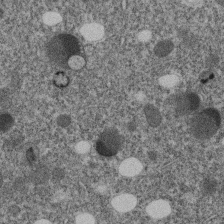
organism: C. elegans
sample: C. elegans embryo early stage